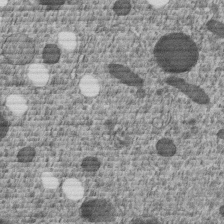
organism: C. elegans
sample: C. elegans embryo early stage